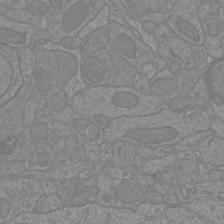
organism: Mouse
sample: Cortical neurons